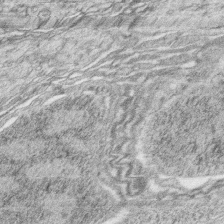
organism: Zebrafish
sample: synaptic ribbons in rod cells and cone cells